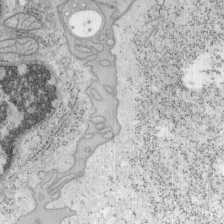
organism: Mouse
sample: OT-I killer T cells with ID8 ovarian cancer cells